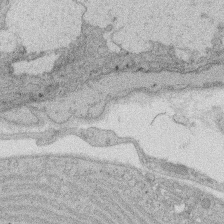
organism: Rat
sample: Salivary granule